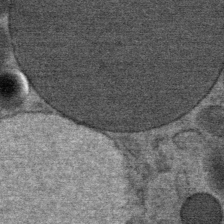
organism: Mouse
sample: Mouse Salivary gland